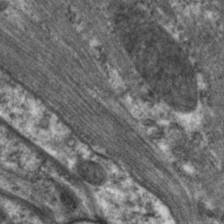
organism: C. elegans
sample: Pharynx